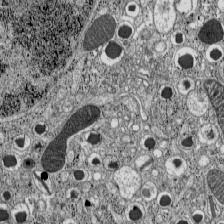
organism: C57BL Mouse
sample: Pancreatic islet